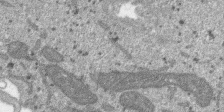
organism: Human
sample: Lung epithelial cells infected with SARS-CoV-2